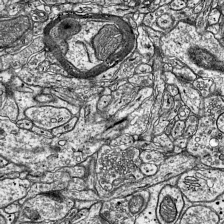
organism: Mouse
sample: Visual Cortex